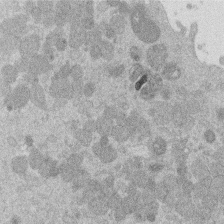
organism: Mouse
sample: Dividing mouse embryo 1 cell stage